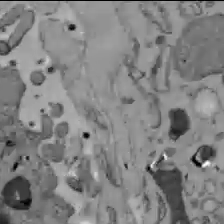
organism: C57BL Mouse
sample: Liver